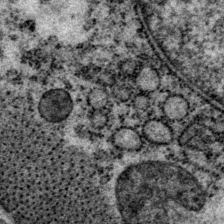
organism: P. pacificus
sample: Pharynx